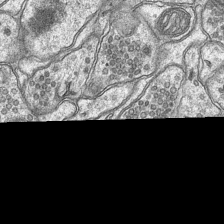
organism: Mouse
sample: CA1 Hippocampus